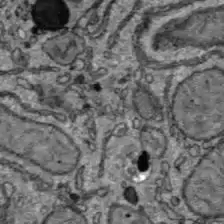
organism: C57BL Mouse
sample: Liver